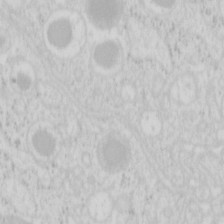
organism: Mouse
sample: Pancreas